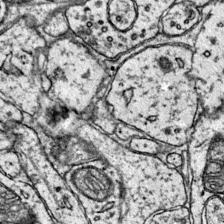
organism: Mouse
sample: Primary visual cortex